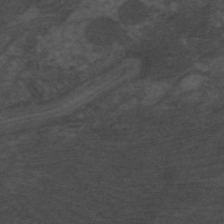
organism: C. elegans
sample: Pharynx